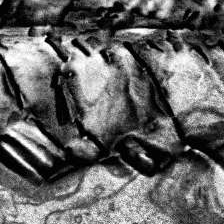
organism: Human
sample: Temporal Lobe